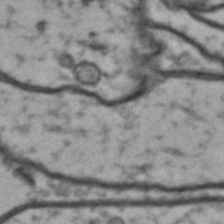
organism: Drosophila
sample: Brain